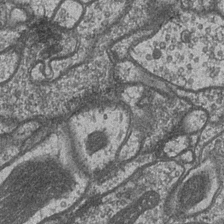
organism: Drosophila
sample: Optic medulla